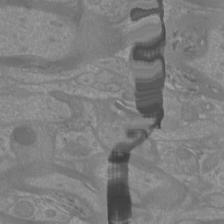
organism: Mouse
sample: Cortical neurons